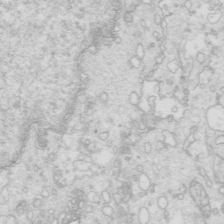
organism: Mouse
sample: Multiciliated cells